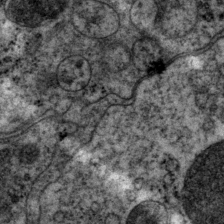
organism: P. pacificus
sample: Pharynx